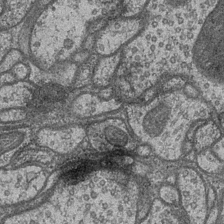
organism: Drosophila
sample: Optic medulla